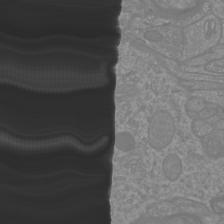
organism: Mouse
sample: Cortical neurons